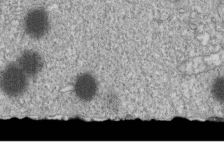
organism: Human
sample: HeLa cell HIV synapse